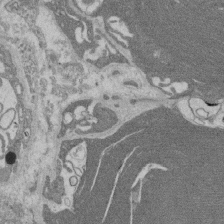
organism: Rat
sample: Salivary granule